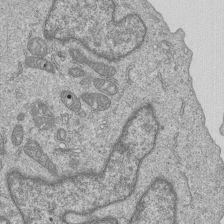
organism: Human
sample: MDA-MB-231 cells